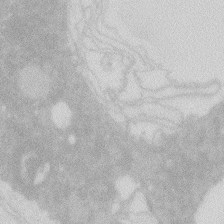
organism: Zebrafish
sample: Macrophage